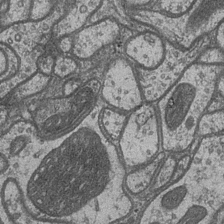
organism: Drosophila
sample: Optic medulla